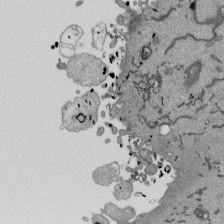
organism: Mouse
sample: ED-1 cell nuclei; centrioles